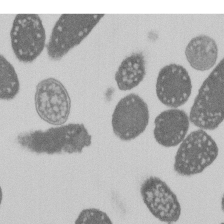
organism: E. coli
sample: Bacterial nucleoid